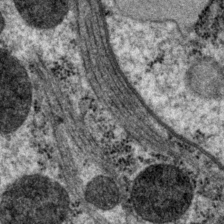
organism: P. pacificus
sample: Pharynx